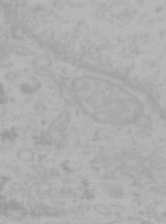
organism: Mouse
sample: Choroid plexus